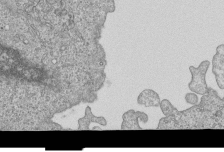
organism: Human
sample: MDA-MB-231 cells